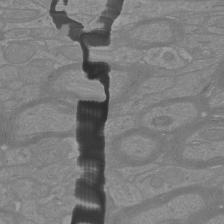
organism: Mouse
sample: Cortical neurons